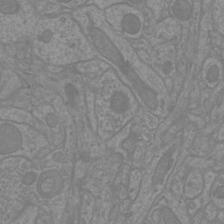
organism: Mouse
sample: Cortical neurons